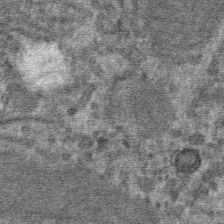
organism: Mouse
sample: Mouse hepatocytes